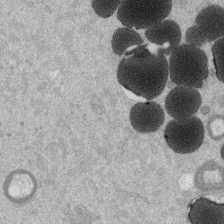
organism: Mouse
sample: Dividing mouse embryo 1 cell stage